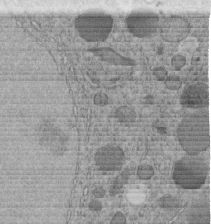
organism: C. elegans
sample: C. elegans embryo early stage